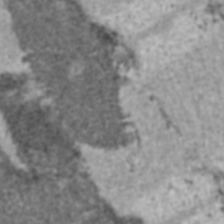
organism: C57BL Mouse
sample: Heart